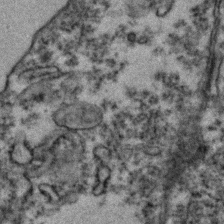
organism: Zebrafish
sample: Zebrafish embryo